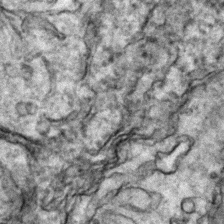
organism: Zebrafish